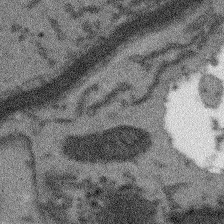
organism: Arabidopsis thaliana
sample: Root tip